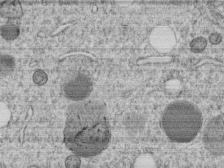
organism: C. elegans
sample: C. elegans embryo early stage